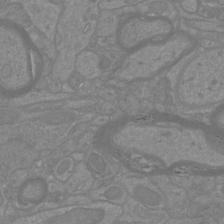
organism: Mouse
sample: Cortical neurons